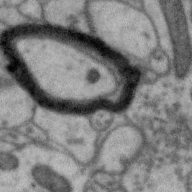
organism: Zebra finch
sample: Brain